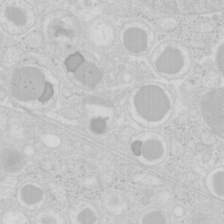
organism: Mouse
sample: Pancreas